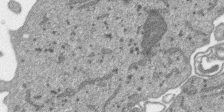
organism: Human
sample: Lung epithelial cells infected with SARS-CoV-2